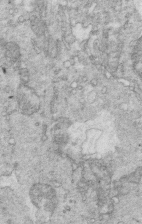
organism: Mouse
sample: Multiciliated cells